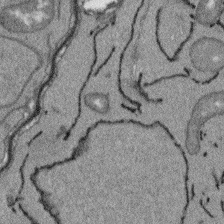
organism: Arabidopsis thaliana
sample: Root tip